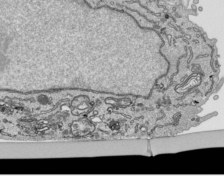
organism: Human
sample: Mitochondria in HCT116 cells